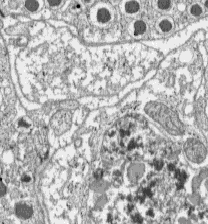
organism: C57BL Mouse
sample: Pancreatic islet